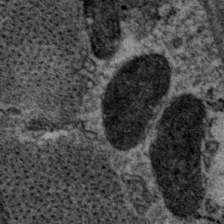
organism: P. pacificus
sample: Pharynx